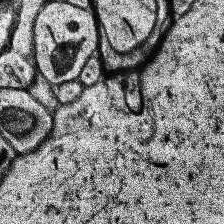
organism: Human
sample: Temporal Lobe